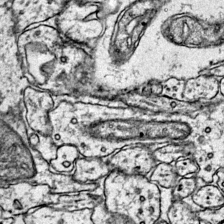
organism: Mouse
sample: Primary visual cortex